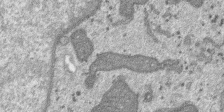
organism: Human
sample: Lung epithelial cells infected with SARS-CoV-2